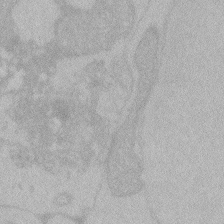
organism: Zebrafish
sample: Macrophage infected with Toxoplasma gondii